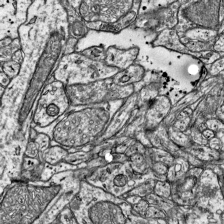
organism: Mouse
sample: Visual Cortex